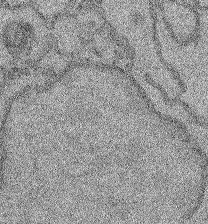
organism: Human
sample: HeLa cells